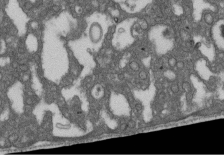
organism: Drosophila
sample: Nephrocyte